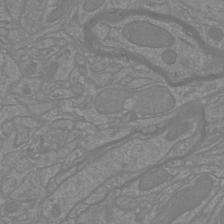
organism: Mouse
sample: Cortical neurons